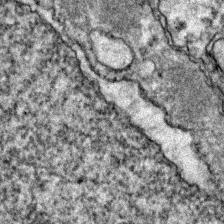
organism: Zebrafish